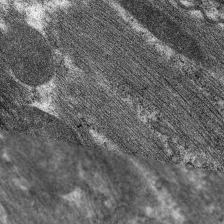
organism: C. elegans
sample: Pharynx